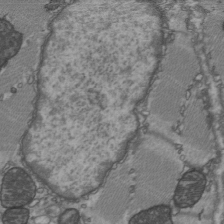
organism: C57BL Mouse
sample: Heart